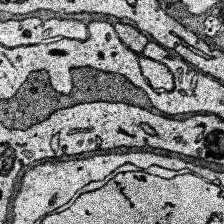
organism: Human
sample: Temporal Lobe